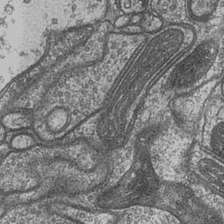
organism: Drosophila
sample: Optic medulla